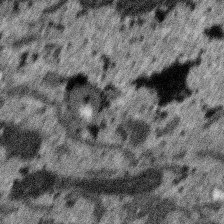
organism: Human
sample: Lung epithelial cells infected with SARS-CoV-2